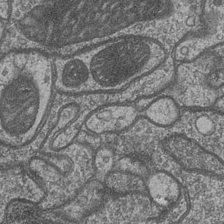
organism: Drosophila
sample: Optic medulla